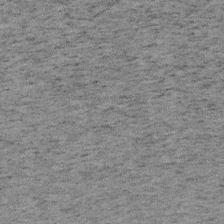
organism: Mouse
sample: OT-I killer T cells with ID8 ovarian cancer cells